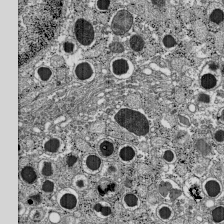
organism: C57BL Mouse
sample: Pancreatic islet